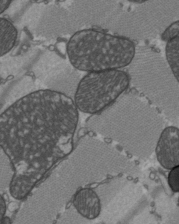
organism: C57BL Mouse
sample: Heart